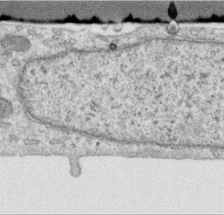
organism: Human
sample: Centriole in RPE cells